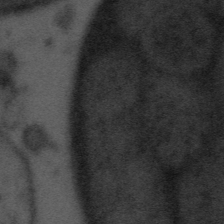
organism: Tuwongella immobilis